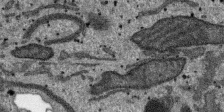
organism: Human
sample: Lung epithelial cells, uninfected (mock) control